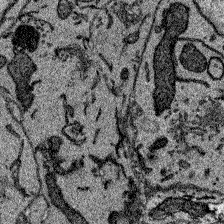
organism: Zebrafish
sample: Larval olfactory bulb